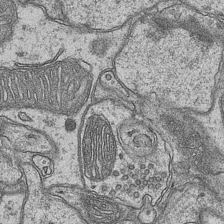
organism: Mouse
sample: CA1 Hippocampus